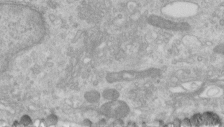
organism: Human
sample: Centriole in RPE cells